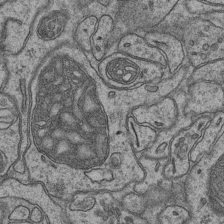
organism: Mouse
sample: CA1 Hippocampus